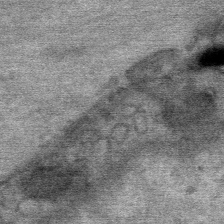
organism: Mouse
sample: Mouse Salivary gland